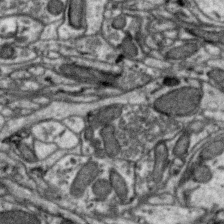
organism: Zebra finch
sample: Brain